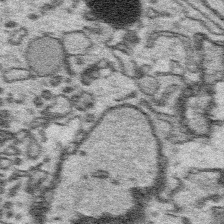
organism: Platynereis dumerilii